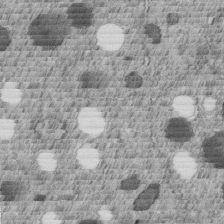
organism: C. elegans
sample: C. elegans embryo early stage